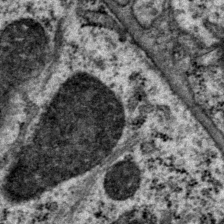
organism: P. pacificus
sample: Pharynx